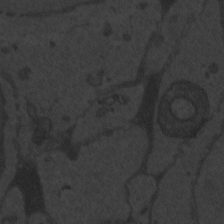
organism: Zebrafish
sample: Macrophage infected with Toxoplasma gondii